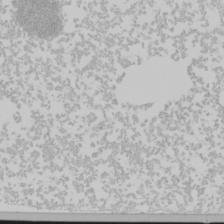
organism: Mouse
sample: Cancer cell death in ED-1 cells